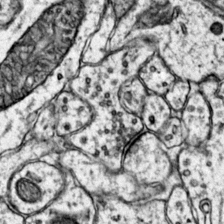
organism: Mouse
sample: Primary visual cortex